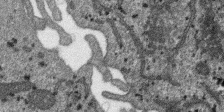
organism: Human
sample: Lung epithelial cells infected with SARS-CoV-2